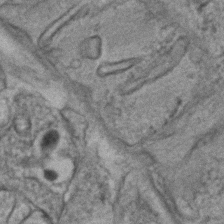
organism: C. elegans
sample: C. elegans embryo